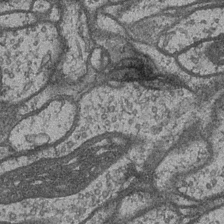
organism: Drosophila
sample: Optic medulla